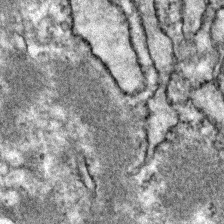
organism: Zebrafish